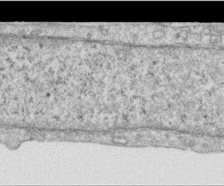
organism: Human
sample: Centriole in RPE cells